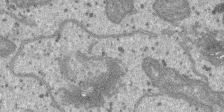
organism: Human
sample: Lung epithelial cells infected with SARS-CoV-2